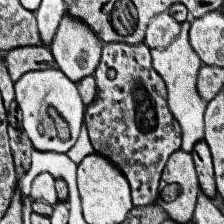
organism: Human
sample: Temporal Lobe